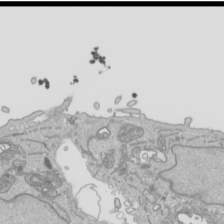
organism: Human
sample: Mitochondria in HCT116 cells